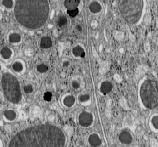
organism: C57BL Mouse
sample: Pancreatic islet